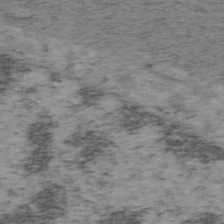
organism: Mouse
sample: OT-I killer T cells with ID8 ovarian cancer cells